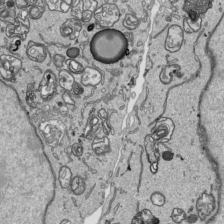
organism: Human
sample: Mitochondria in HCT116 cells